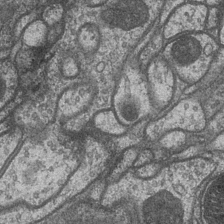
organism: Drosophila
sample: Optic medulla